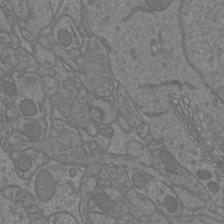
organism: Mouse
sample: Cortical neurons